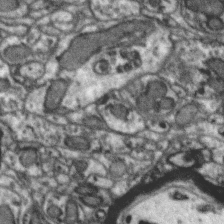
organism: Zebra finch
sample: Brain